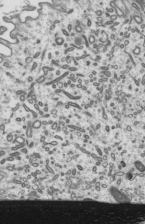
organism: Mouse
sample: Mouse epididymis efferent ductule cilia